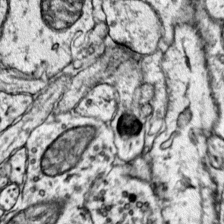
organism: Mouse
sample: Primary visual cortex